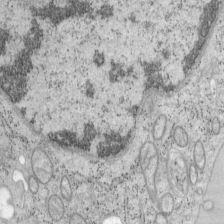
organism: Mouse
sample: OT-I killer T cells with ID8 ovarian cancer cells